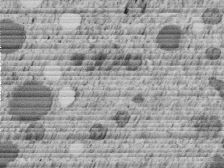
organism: C. elegans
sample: C. elegans embryo early stage